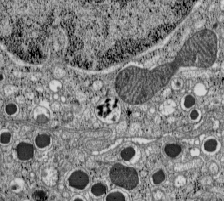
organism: C57BL Mouse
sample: Pancreatic islet